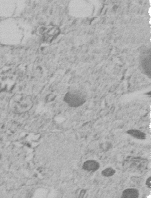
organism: C. elegans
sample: C. elegans embryo early stage